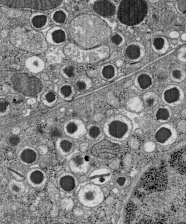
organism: C57BL Mouse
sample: Pancreatic islet